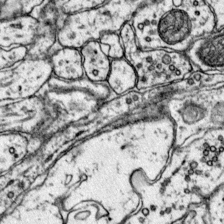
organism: Mouse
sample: Primary visual cortex